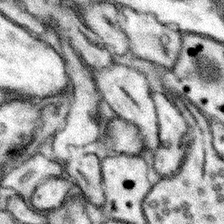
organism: Mouse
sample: Somatosensory cortex neuropil